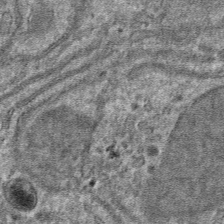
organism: Mouse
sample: Mouse hepatocytes